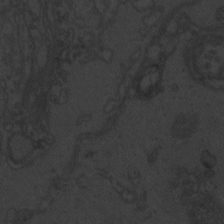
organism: Zebrafish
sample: Macrophage infected with Toxoplasma gondii